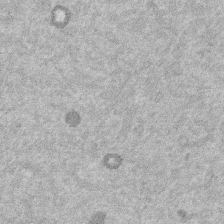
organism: Mouse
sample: Dividing mouse embryo 1 cell stage